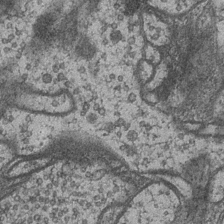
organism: Drosophila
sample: Optic medulla